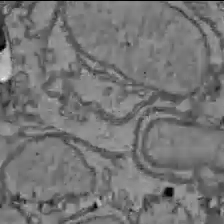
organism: C57BL Mouse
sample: Liver